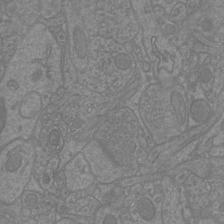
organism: Mouse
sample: Cortical neurons